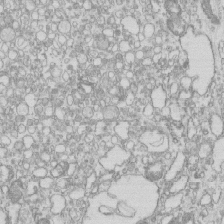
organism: Mouse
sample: Macrophages